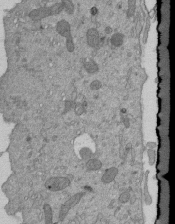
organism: Mouse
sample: ED-1 cell nuclei; centrioles